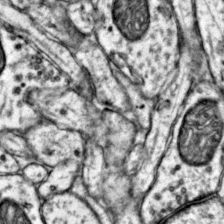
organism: Mouse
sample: Primary visual cortex